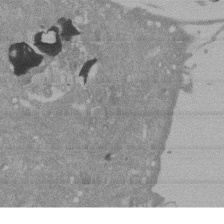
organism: Mouse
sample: ED-1 cell nuclei; centrioles